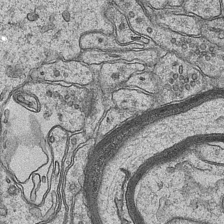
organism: Mouse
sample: CA1 Hippocampus